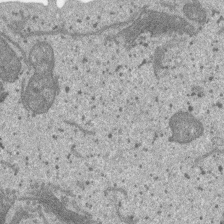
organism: Human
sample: Lung epithelial cells infected with SARS-CoV-2